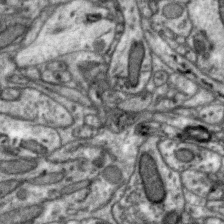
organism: Zebra finch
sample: Brain